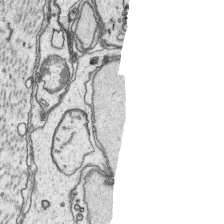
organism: Platynereis dumerilii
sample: Parapodia